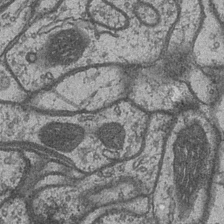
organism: Drosophila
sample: Optic medulla